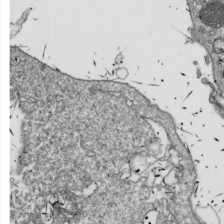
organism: Drosophila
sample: Cell division; meiosis; drosophila spermatocytes